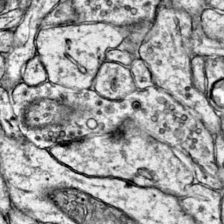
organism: Mouse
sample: Primary visual cortex